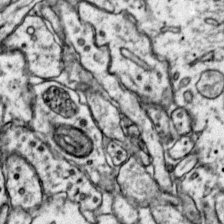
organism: Mouse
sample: Primary visual cortex